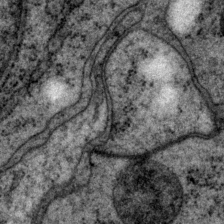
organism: P. pacificus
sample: Pharynx